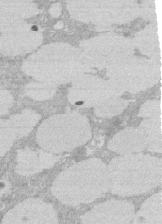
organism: Rat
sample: Salivary granule